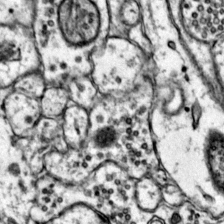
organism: Mouse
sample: Primary visual cortex